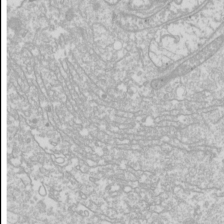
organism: Drosophila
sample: Cell division; meiosis; drosophila spermatocytes